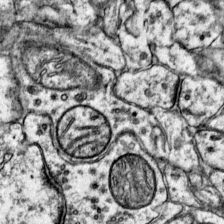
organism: Mouse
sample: Primary visual cortex